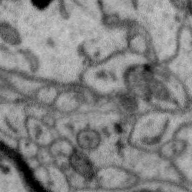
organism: Zebra finch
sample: Brain